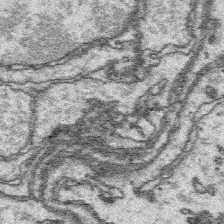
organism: Platynereis dumerilii